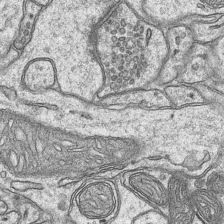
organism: Mouse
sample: CA1 Hippocampus